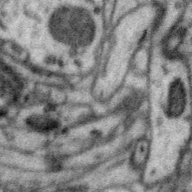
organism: Zebra finch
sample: Brain